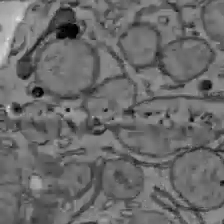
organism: C57BL Mouse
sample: Liver